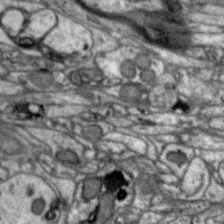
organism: Zebra finch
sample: Brain